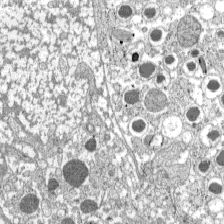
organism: C57BL Mouse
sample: Pancreatic islet